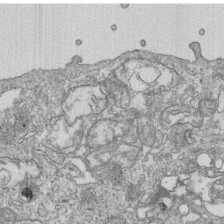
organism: Human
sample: HeLa cell HIV synapse